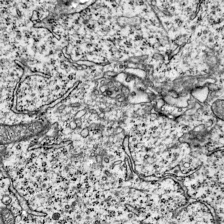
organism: Mouse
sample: Visual Cortex